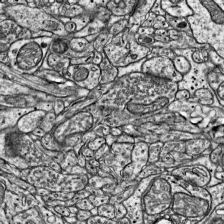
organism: Mouse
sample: Visual Cortex